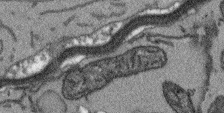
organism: Arabidopsis thaliana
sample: Root tip